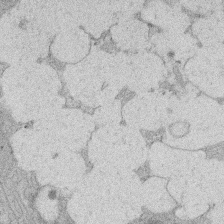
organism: Rat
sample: Salivary granule